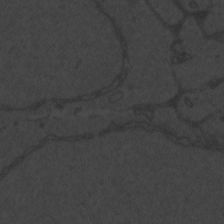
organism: Zebrafish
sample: Macrophage infected with Toxoplasma gondii